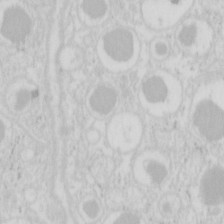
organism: Mouse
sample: Pancreas